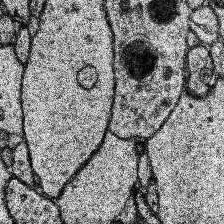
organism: Human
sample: Temporal Lobe